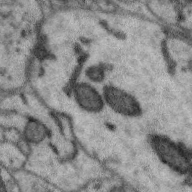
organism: Zebra finch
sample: Brain